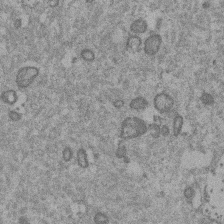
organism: Mouse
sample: Dividing mouse embryo 1 cell stage